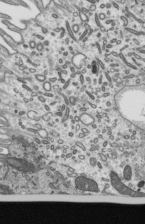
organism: Mouse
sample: Mouse epididymis efferent ductule cilia